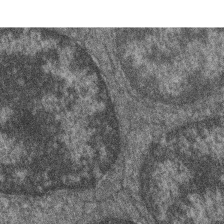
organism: Zebrafish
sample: Cilia; retinal pigment epithelium